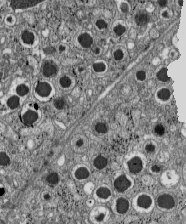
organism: C57BL Mouse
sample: Pancreatic islet